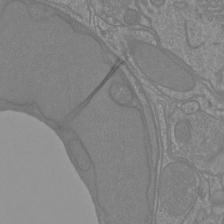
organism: Mouse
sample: Cortical neurons